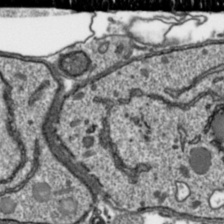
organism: Toxoplasma gondii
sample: Parasites in a vacuole inside a host cell